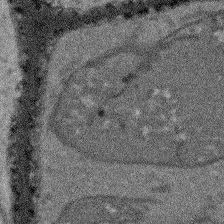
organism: Arabidopsis thaliana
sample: Root tip